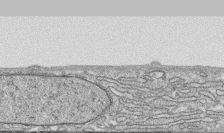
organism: Human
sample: CRL-1474